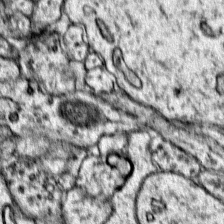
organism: Mouse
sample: Primary visual cortex